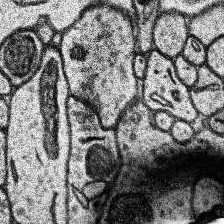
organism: Human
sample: Temporal Lobe